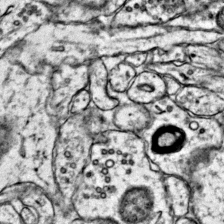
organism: Mouse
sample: Primary visual cortex